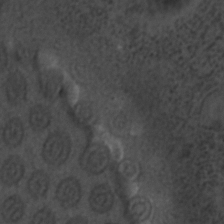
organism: C. elegans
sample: C. elegans embryo